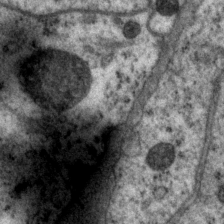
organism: P. pacificus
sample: Pharynx